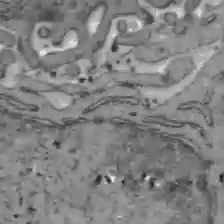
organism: C57BL Mouse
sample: Liver